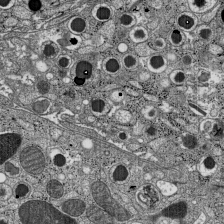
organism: C57BL Mouse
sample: Pancreatic islet